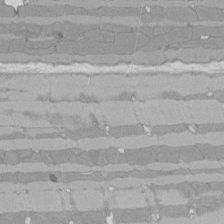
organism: Rat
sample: Left ventricle